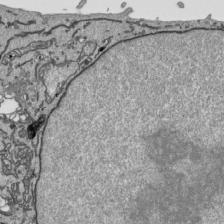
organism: Human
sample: Mitochondria in HCT116 cells